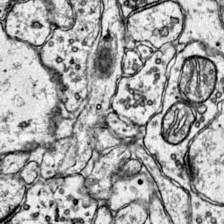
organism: Mouse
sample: Primary visual cortex